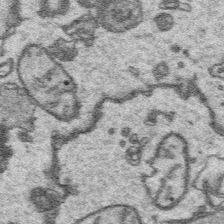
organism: Platynereis dumerilii